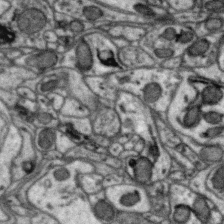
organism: Zebra finch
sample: Brain